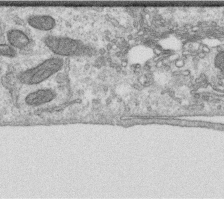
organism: Human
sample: Centriole in RPE cells